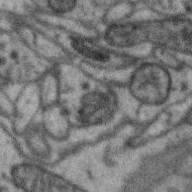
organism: Zebra finch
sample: Brain